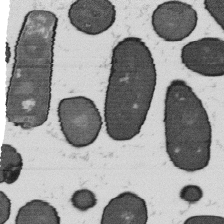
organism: B. subtilis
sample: Bacterial spore